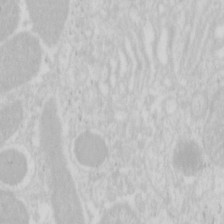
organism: Mouse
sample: Pancreas